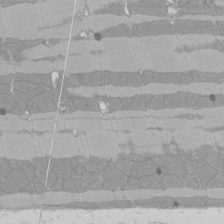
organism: Rat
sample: Left ventricle